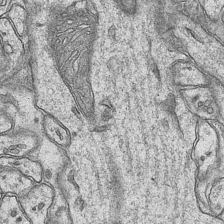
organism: Mouse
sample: CA1 Hippocampus